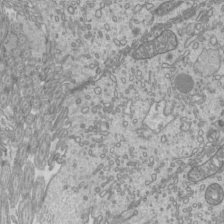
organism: Mouse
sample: Cilia; mouse epididymis